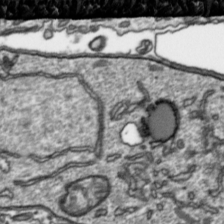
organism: Toxoplasma gondii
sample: Parasites in a vacuole inside a host cell